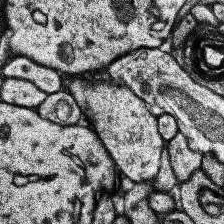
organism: Human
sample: Temporal Lobe